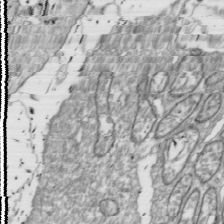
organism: Drosophila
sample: Cell division; meiosis; drosophila spermatocytes